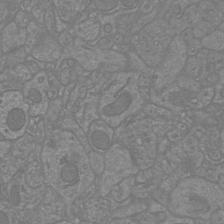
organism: Mouse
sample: Cortical neurons